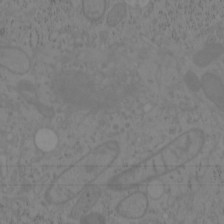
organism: Human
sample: HeLa cells